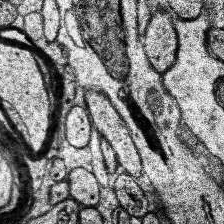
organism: Human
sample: Temporal Lobe